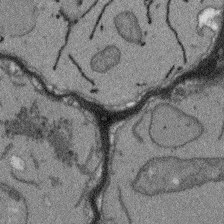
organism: Arabidopsis thaliana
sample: Root tip